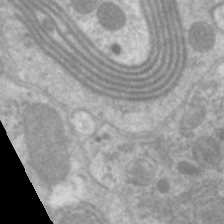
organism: C. elegans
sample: Pharynx